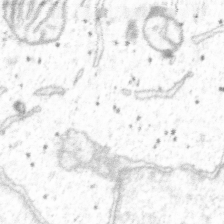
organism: Human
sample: HeLa cells